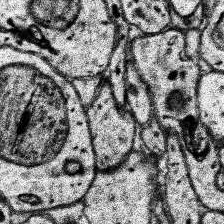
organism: Human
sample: Temporal Lobe